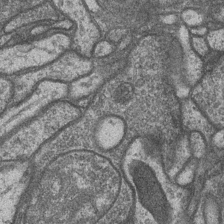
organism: Drosophila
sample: Optic medulla